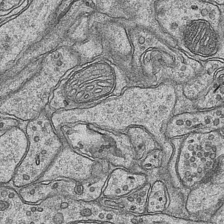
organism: Mouse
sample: CA1 Hippocampus